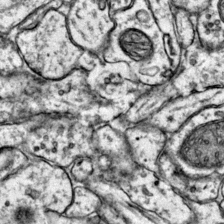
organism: Mouse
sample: Primary visual cortex